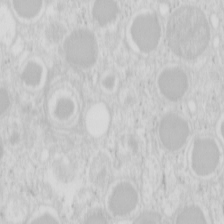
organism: Mouse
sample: Pancreas